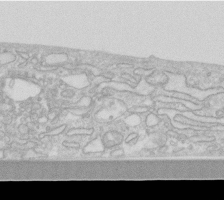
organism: Human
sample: Fibroblast cells